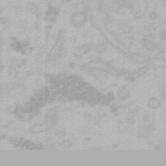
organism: Mouse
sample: Choroid plexus